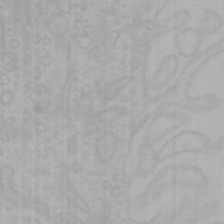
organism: Mouse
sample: Choroid plexus